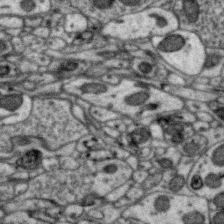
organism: Zebra finch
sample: Brain